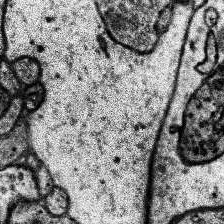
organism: Human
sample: Temporal Lobe